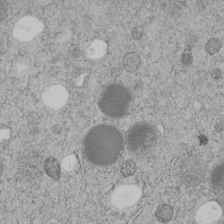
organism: C. elegans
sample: C. elegans embryo early stage